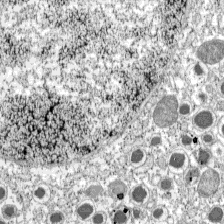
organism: C57BL Mouse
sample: Pancreatic islet